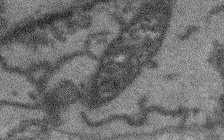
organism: Arabidopsis thaliana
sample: Root tip